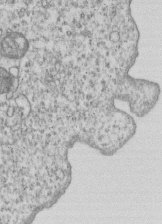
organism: Human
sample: MDA-MB-231 cells